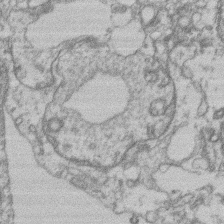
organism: Mouse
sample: T cell stromal cell synapse